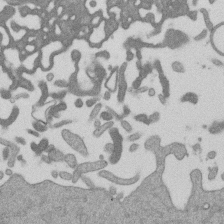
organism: Mouse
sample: Dividing mouse embryo 1 cell stage